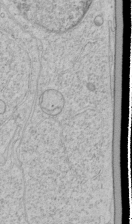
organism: Human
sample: Mitochondria in HCT116 cells